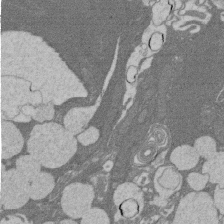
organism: Rat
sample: Salivary granule